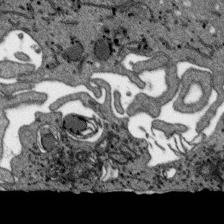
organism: Human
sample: Lung epithelial cells, uninfected (mock) control